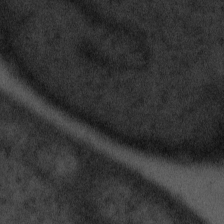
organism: Tuwongella immobilis